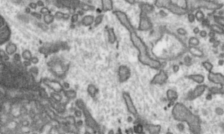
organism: Toxoplasma gondii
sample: Parasites in a vacuole inside a host cell